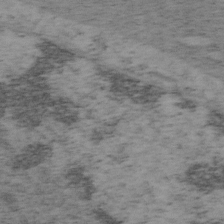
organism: Mouse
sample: OT-I killer T cells with ID8 ovarian cancer cells